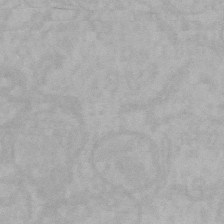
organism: Mouse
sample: Choroid plexus